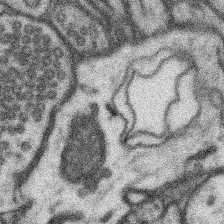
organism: Mouse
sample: Somatosensory cortex neuropil